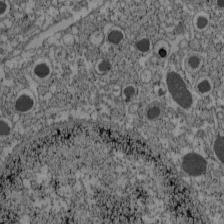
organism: C57BL Mouse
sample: Pancreatic islet